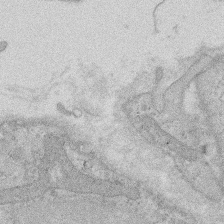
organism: Rat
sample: Salivary granule